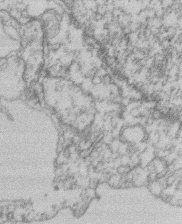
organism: Mouse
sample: T cell stromal cell synapse